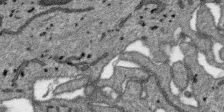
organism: Human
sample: Lung epithelial cells, uninfected (mock) control